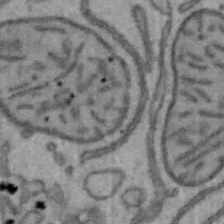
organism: Mouse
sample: Liver